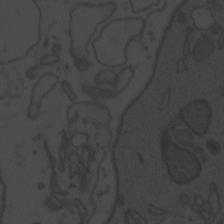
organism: Zebrafish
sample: Macrophage infected with Toxoplasma gondii